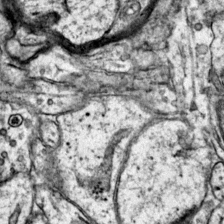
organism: Mouse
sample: Primary visual cortex